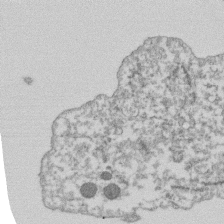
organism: Dictyostelium discoideum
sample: Dictyostelium multivesicular bodies